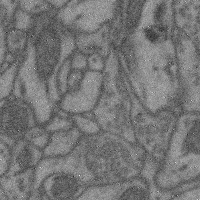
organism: Mouse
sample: Cerebral cortex